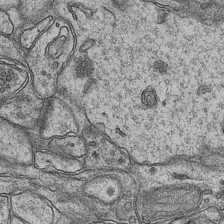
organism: Mouse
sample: CA1 Hippocampus